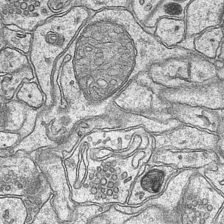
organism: Mouse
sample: CA1 Hippocampus